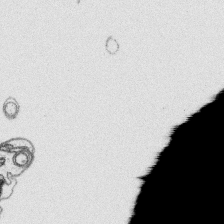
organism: Platynereis dumerilii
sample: Parapodia